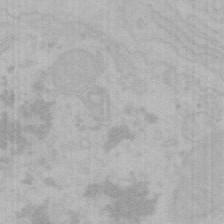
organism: Mouse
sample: Choroid plexus